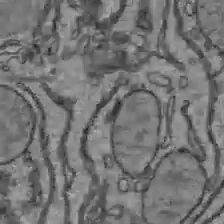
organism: C57BL Mouse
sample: Liver